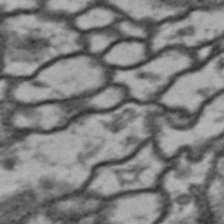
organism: Drosophila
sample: Brain